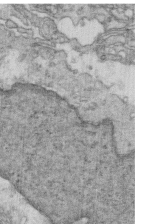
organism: Mouse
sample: Multiciliated cells